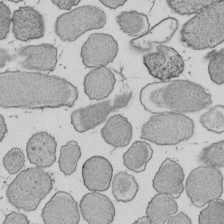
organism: E. coli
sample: Bacterial nucleoid